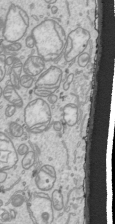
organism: Human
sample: Mitochondria in HCT116 cells